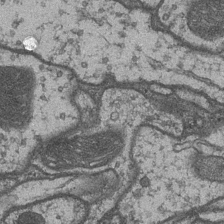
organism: Drosophila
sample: Optic medulla